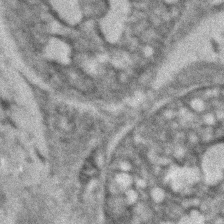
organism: Zebrafish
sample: Zebrafish embryo